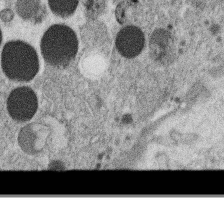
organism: C. elegans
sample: C. elegans oocyte; sperm cells